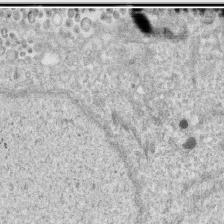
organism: Human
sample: HeLa cell HIV synapse